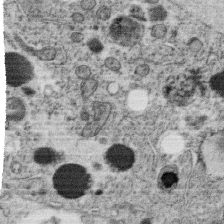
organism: C. elegans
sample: C. elegans oocyte; sperm cells